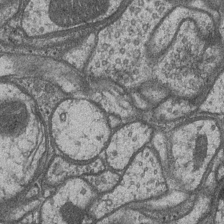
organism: Drosophila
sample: Optic medulla